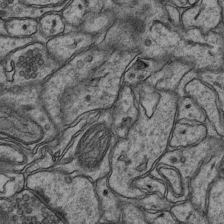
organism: Mouse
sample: CA1 Hippocampus